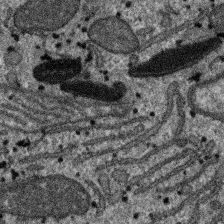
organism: Human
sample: Lung epithelial cells infected with SARS-CoV-2